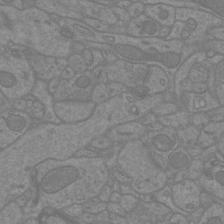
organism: Mouse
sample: Cortical neurons